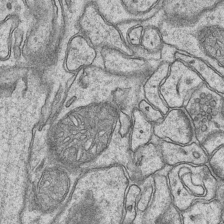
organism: Mouse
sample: CA1 Hippocampus